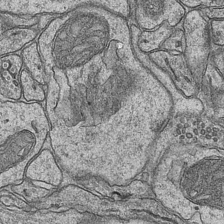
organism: Mouse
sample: CA1 Hippocampus